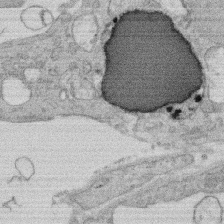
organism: Rat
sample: Salivary granule